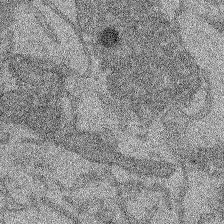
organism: Human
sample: HeLa cells